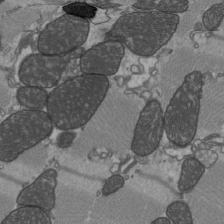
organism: C57BL Mouse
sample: Heart